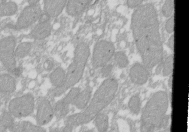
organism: Xenopus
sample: Cilia; centrioles in frog embryo cells